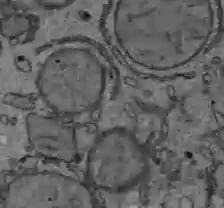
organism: C57BL Mouse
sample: Liver